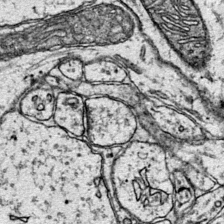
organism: Mouse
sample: Primary visual cortex